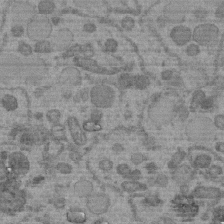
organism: C. elegans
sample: C. elegans embryo early stage